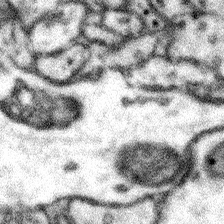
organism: Mouse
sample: Somatosensory cortex neuropil